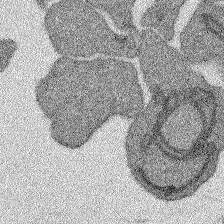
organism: Human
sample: HeLa cells